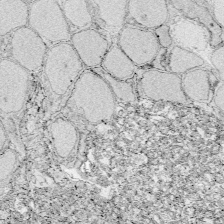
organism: Zebrafish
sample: Whole-Brain